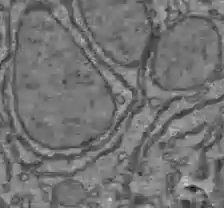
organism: C57BL Mouse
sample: Liver